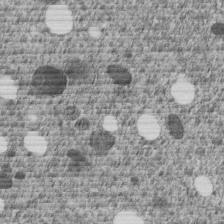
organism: C. elegans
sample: C. elegans embryo early stage